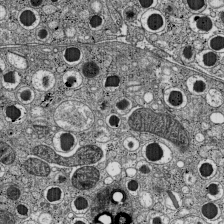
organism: C57BL Mouse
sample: Pancreatic islet